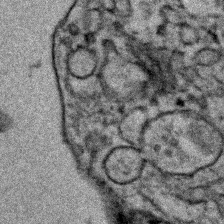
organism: Zebrafish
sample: Zebrafish embryo